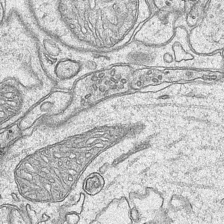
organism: Mouse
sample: CA1 Hippocampus